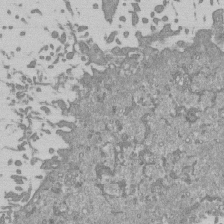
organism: Mouse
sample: ED-1 cell nuclei; centrioles